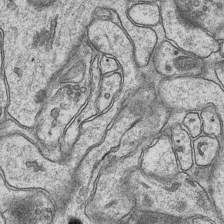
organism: Mouse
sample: CA1 Hippocampus